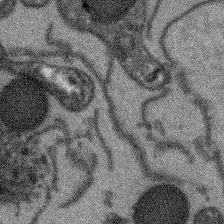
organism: Arabidopsis thaliana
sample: Root tip